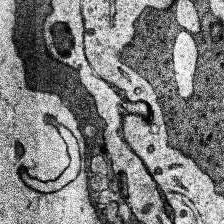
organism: Human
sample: Temporal Lobe